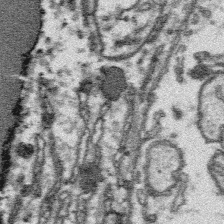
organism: Platynereis dumerilii